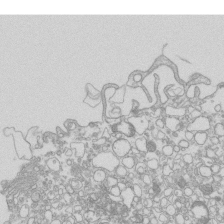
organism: Mouse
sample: Macrophages